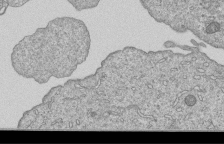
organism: Human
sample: MDA-MB-231 cells